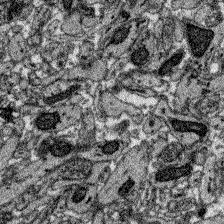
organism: Zebrafish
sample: Larval olfactory bulb